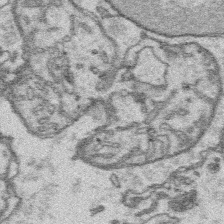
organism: Platynereis dumerilii